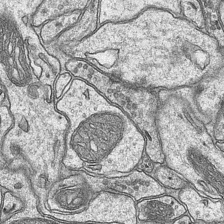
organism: Mouse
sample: CA1 Hippocampus